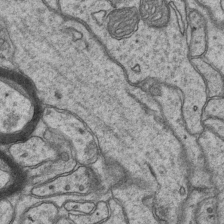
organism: Mouse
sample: CA1 Hippocampus